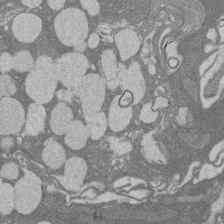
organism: Rat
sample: Salivary granule